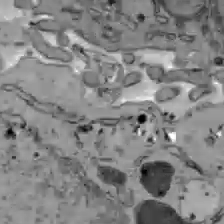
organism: C57BL Mouse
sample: Liver